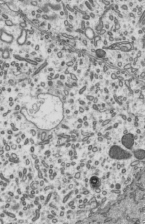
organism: Mouse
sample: Mouse epididymis efferent ductule cilia